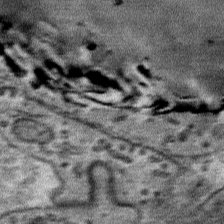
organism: Mouse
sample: Mouse Salivary gland